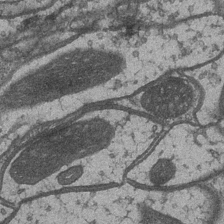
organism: Drosophila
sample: Optic medulla